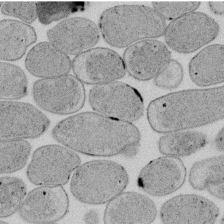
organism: E. coli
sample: Bacterial nucleoid